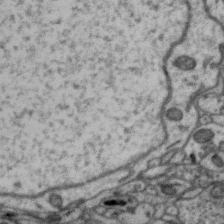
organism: Zebra finch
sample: Brain